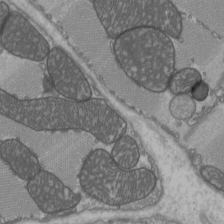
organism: C57BL Mouse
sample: Heart